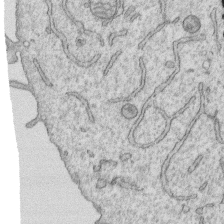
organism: Human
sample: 1205lu cells